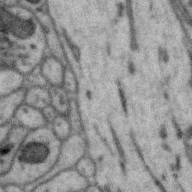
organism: Zebra finch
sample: Brain